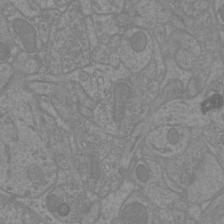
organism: Mouse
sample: Cortical neurons